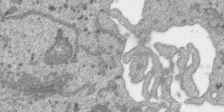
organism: Human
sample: Lung epithelial cells infected with SARS-CoV-2